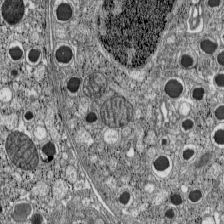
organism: C57BL Mouse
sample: Pancreatic islet